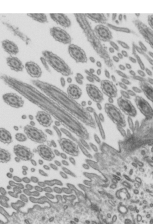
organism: Mouse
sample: Mouse epididymis efferent ductule cilia